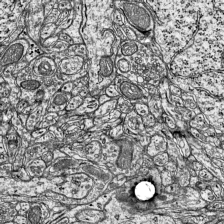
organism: Mouse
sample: Visual Cortex